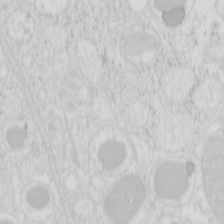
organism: Mouse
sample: Pancreas